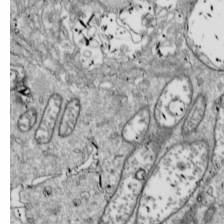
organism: Drosophila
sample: Cell division; meiosis; drosophila spermatocytes